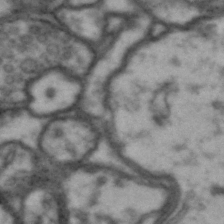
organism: Drosophila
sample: Brain